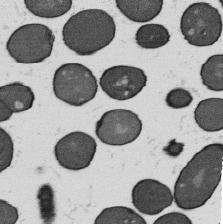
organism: B. subtilis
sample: Bacterial spore